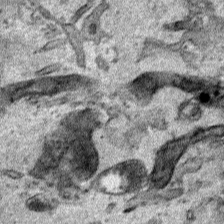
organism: Human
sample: Mitochondria in HCT116 cells